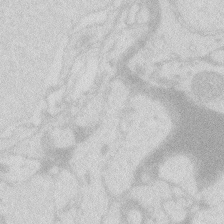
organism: Zebrafish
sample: Macrophage